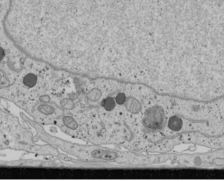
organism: Human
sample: Mitochondria in U2OS cells